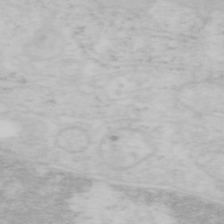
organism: Mouse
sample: OT-I killer T cells with ID8 ovarian cancer cells